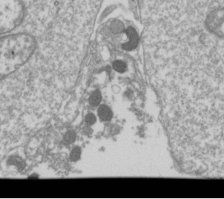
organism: Drosophila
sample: Cell division; meiosis; drosophila spermatocytes